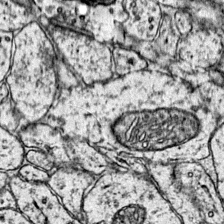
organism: Mouse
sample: Primary visual cortex